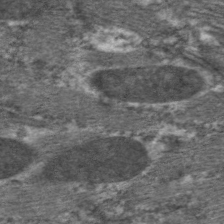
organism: C. elegans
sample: Pharynx